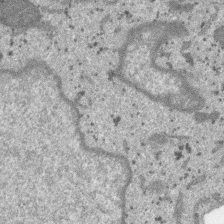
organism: Human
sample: Lung epithelial cells infected with SARS-CoV-2